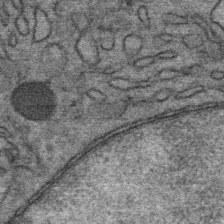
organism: Mouse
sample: Mouse Salivary gland